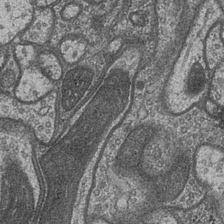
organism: Drosophila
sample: Optic medulla